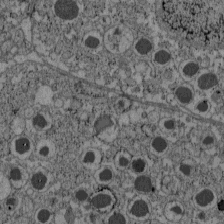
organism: C57BL Mouse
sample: Pancreatic islet